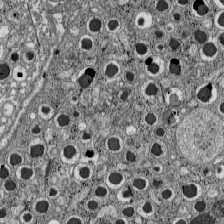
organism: C57BL Mouse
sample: Pancreatic islet